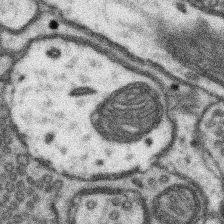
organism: Mouse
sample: Somatosensory cortex neuropil